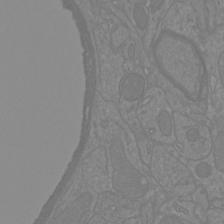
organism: Mouse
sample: Cortical neurons